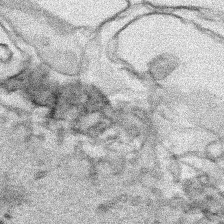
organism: Human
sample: Mitochondria in HCT116 cells